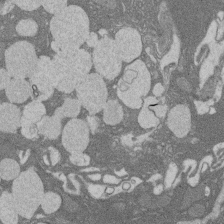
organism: Rat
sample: Salivary granule